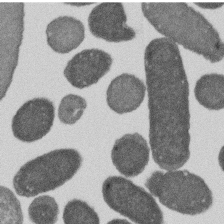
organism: E. coli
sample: Bacterial nucleoid